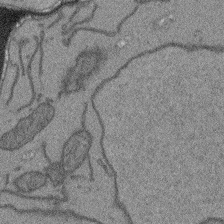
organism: Arabidopsis thaliana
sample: Root tip